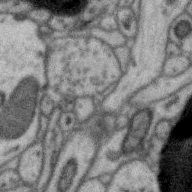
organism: Zebra finch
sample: Brain